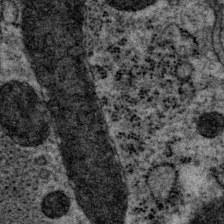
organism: P. pacificus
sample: Pharynx